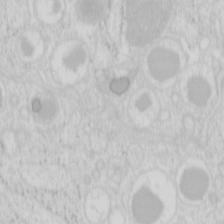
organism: Mouse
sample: Pancreas